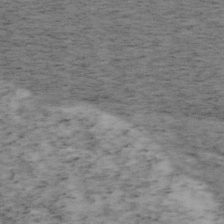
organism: Mouse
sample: OT-I killer T cells with ID8 ovarian cancer cells